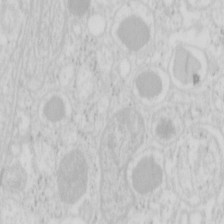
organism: Mouse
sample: Pancreas